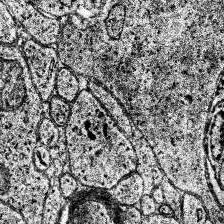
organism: Human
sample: Temporal Lobe